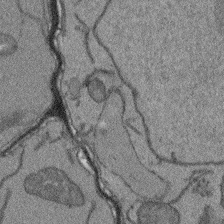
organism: Arabidopsis thaliana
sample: Root tip